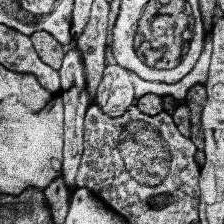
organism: Human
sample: Temporal Lobe